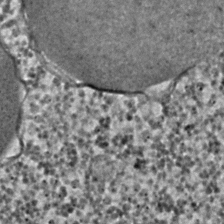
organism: C. elegans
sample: C. elegans embryo